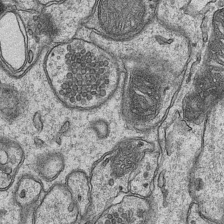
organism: Mouse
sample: CA1 Hippocampus